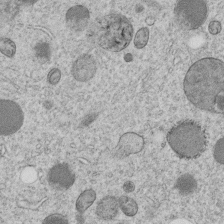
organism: C. elegans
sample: C. elegans embryo early stage